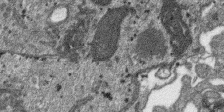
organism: Human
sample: Lung epithelial cells infected with SARS-CoV-2